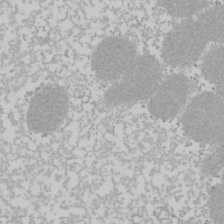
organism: Mouse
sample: Cancer cell death in ED-1 cells